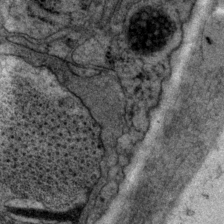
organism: P. pacificus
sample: Pharynx